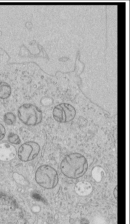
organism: Human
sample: Mitochondria in HCT116 cells